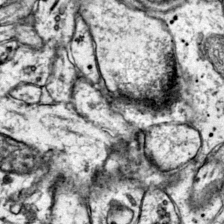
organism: Mouse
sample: Primary visual cortex